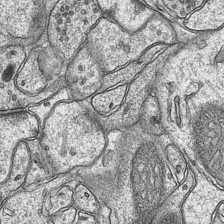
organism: Mouse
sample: CA1 Hippocampus